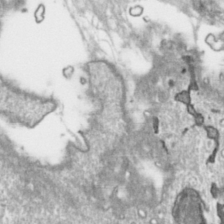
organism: Toxoplasma gondii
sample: Parasites in a vacuole inside a host cell